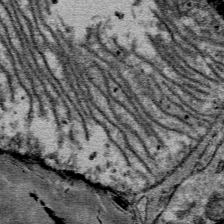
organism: Mouse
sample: Mouse Salivary gland